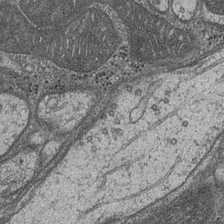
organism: Drosophila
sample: Optic medulla